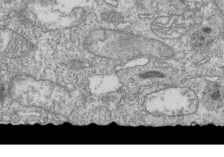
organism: Human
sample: HeLa cell HIV synapse